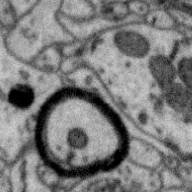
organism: Zebra finch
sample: Brain